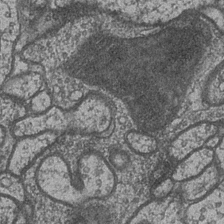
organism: Drosophila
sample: Optic medulla